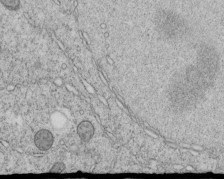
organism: C. elegans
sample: C. elegans embryo early stage